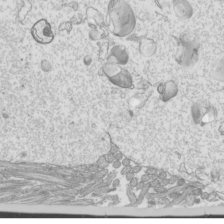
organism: Mouse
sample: Cilia; mouse epididymis